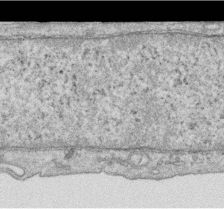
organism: Human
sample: Centriole in RPE cells